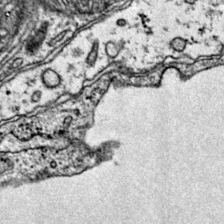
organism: Mouse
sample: Primary visual cortex